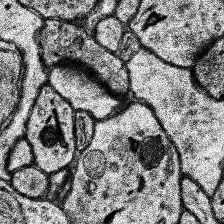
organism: Human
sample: Temporal Lobe